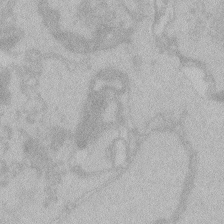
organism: Zebrafish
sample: Macrophage infected with Toxoplasma gondii